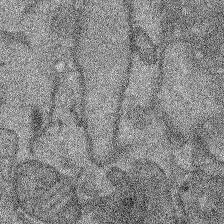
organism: Human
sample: HeLa cells